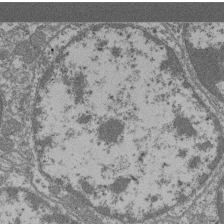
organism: Mouse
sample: Glomerulus